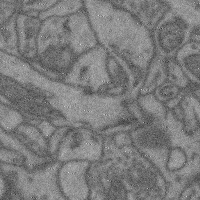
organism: Mouse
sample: Cerebral cortex